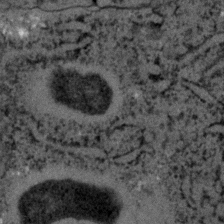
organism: C. elegans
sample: C. elegans embryo